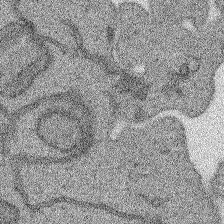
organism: Human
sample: HeLa cells